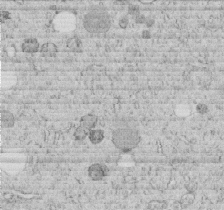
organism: C. elegans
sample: C. elegans embryo early stage